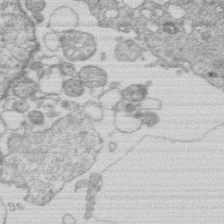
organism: Human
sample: Macrophage cells